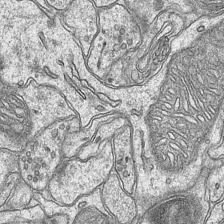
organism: Mouse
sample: CA1 Hippocampus